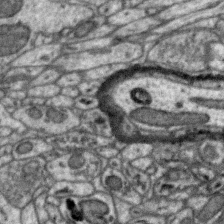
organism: Zebra finch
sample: Brain